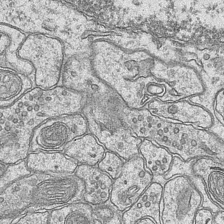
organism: Mouse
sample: CA1 Hippocampus